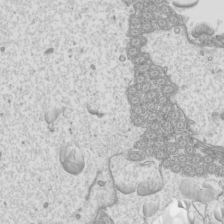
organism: Mouse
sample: Cilia; mouse epididymis